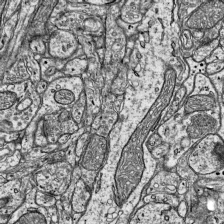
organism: Mouse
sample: Visual Cortex